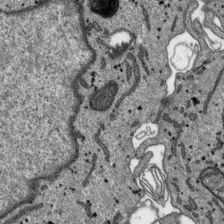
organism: Human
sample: Lung epithelial cells, uninfected (mock) control